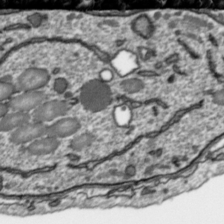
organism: Toxoplasma gondii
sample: Parasites in a vacuole inside a host cell